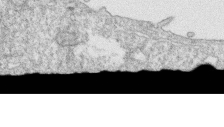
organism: Human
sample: HeLa cell HIV synapse